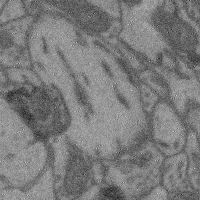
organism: Mouse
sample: Cerebral cortex